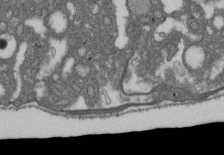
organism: Drosophila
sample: Nephrocyte